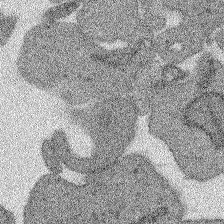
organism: Human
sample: HeLa cells